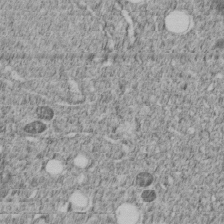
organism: C. elegans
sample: C. elegans embryo early stage